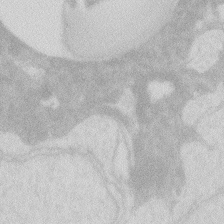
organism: Zebrafish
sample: Macrophage